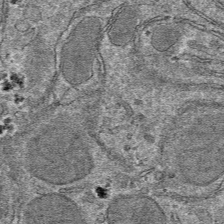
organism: Mouse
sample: Mouse hepatocytes